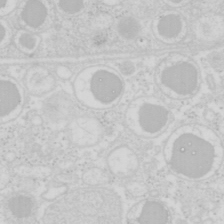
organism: Mouse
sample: Pancreas